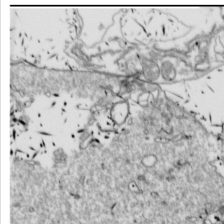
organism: Drosophila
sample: Cell division; meiosis; drosophila spermatocytes